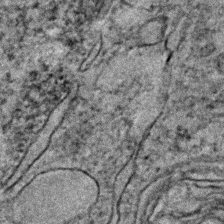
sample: Trachea